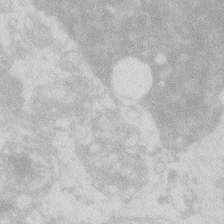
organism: Zebrafish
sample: Macrophage